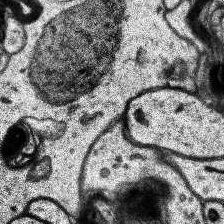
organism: Human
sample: Temporal Lobe